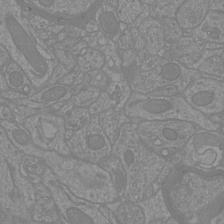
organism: Mouse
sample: Cortical neurons